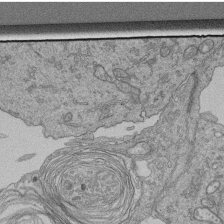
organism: Human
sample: Retinal organoid Rod and Cone cells